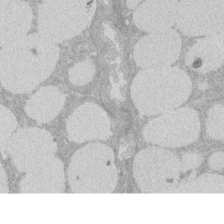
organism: Rat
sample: Salivary granule